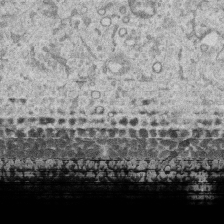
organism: Human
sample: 1205lu cells